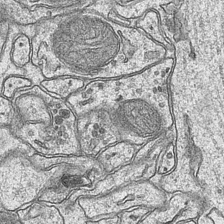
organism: Mouse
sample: CA1 Hippocampus